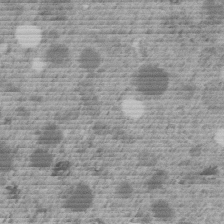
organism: C. elegans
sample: C. elegans embryo early stage